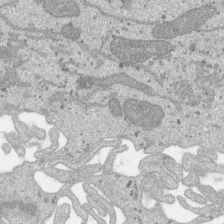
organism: Human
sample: Lung epithelial cells infected with SARS-CoV-2